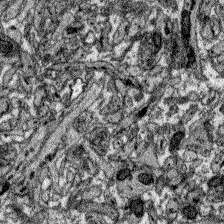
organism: Zebrafish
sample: Larval olfactory bulb